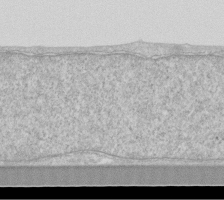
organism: Human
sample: Fibroblast cells